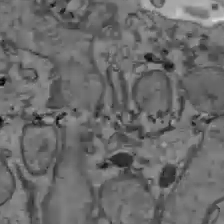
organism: C57BL Mouse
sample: Liver